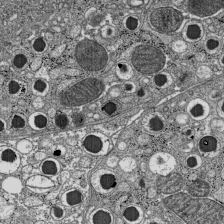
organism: C57BL Mouse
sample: Pancreatic islet